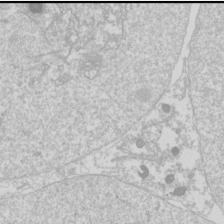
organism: Drosophila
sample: Cell division; meiosis; drosophila spermatocytes